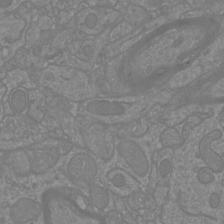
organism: Mouse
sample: Cortical neurons